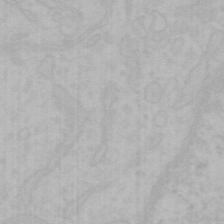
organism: Mouse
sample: Choroid plexus